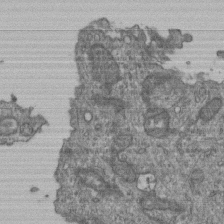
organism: Human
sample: Retinal organoid Rod and Cone cells